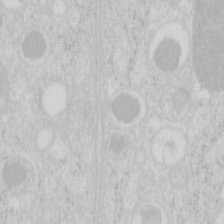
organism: Mouse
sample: Pancreas